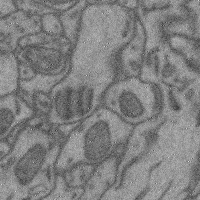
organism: Mouse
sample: Cerebral cortex